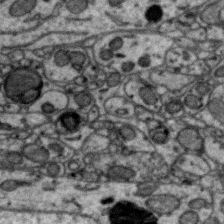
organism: Zebra finch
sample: Brain